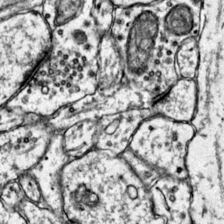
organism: Mouse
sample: Primary visual cortex